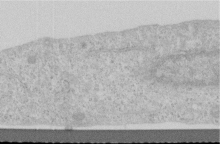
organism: Human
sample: Centriole in RPE cells